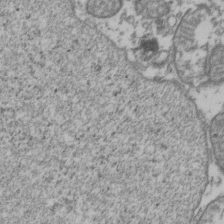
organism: Human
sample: Activated Jurkat CD4+ T cells